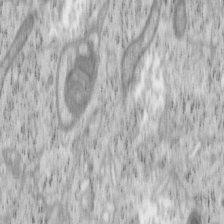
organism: Human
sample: HeLa cells